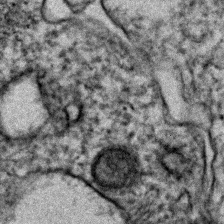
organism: Human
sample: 1205lu cells